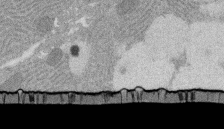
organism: Rat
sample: Salivary granule